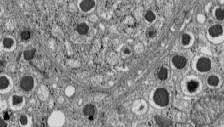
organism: C57BL Mouse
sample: Pancreatic islet